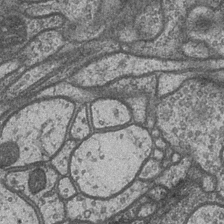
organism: Drosophila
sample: Optic medulla